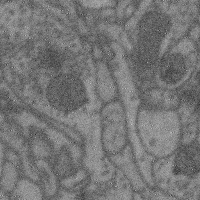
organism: Mouse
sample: Cerebral cortex